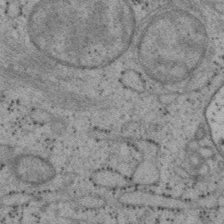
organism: Human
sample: HeLa cells